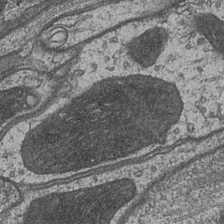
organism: Drosophila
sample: Optic medulla